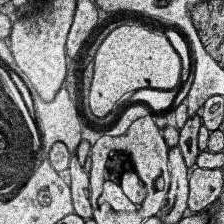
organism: Human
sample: Temporal Lobe